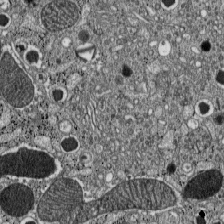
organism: C57BL Mouse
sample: Pancreatic islet